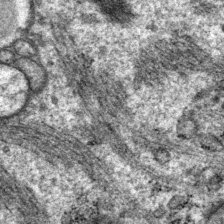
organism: P. pacificus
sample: Pharynx